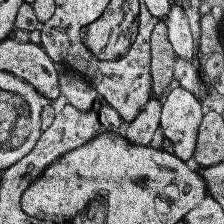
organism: Human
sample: Temporal Lobe